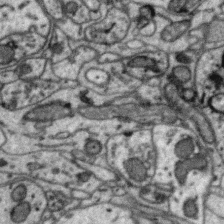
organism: Zebra finch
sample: Brain